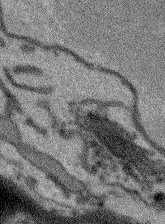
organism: Arabidopsis thaliana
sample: Root tip